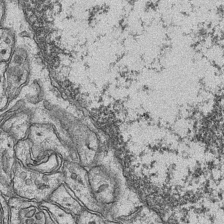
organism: Mouse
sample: CA1 Hippocampus